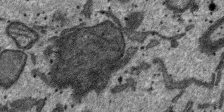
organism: Human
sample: Lung epithelial cells, uninfected (mock) control